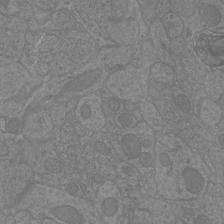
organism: Mouse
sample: Cortical neurons